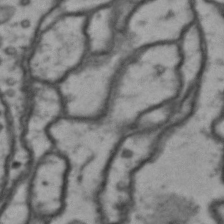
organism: Drosophila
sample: Brain